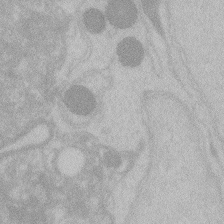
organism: Zebrafish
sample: Macrophage infected with Toxoplasma gondii